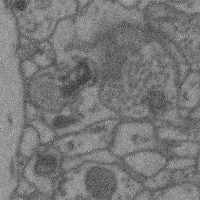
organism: Mouse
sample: Cerebral cortex